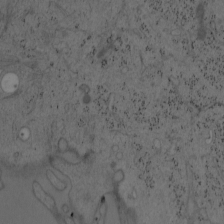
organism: Mouse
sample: OT-I killer T cells with ID8 ovarian cancer cells